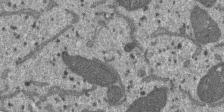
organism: Human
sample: Lung epithelial cells infected with SARS-CoV-2